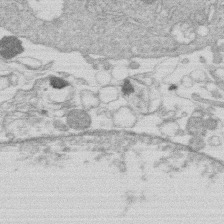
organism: Human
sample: Macrophage cells